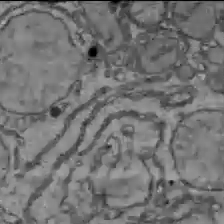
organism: C57BL Mouse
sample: Liver